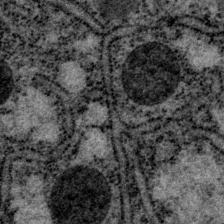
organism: P. pacificus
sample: Pharynx